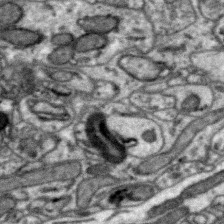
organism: Zebra finch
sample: Brain